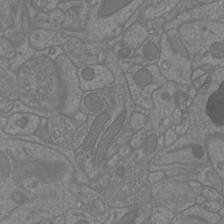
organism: Mouse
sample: Cortical neurons